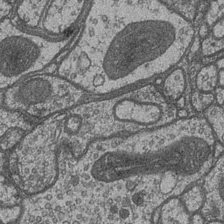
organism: Drosophila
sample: Optic medulla